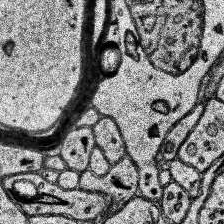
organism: Human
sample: Temporal Lobe